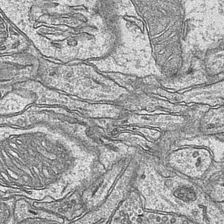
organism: Mouse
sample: CA1 Hippocampus